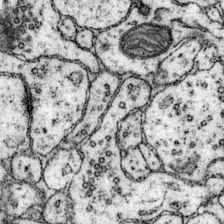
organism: Mouse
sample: Primary visual cortex